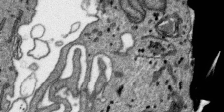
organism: Human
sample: Lung epithelial cells, uninfected (mock) control